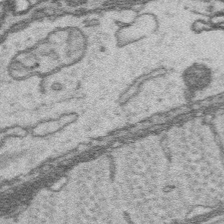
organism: Platynereis dumerilii